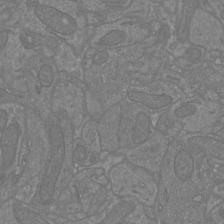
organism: Mouse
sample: Cortical neurons